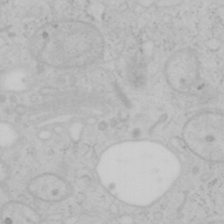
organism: Mouse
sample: OT-I killer T cells with ID8 ovarian cancer cells